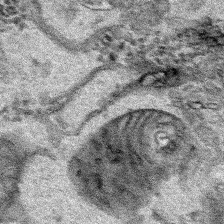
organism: Human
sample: Mitochondria in HCT116 cells